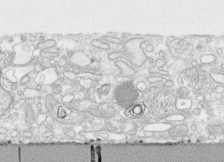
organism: Human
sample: CRL-1474